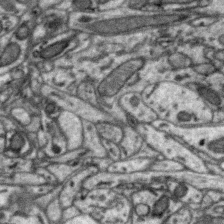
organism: Zebra finch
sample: Brain